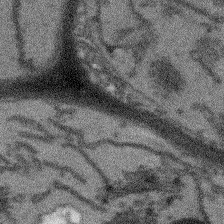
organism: Arabidopsis thaliana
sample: Root tip